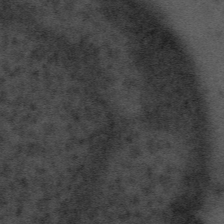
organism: Tuwongella immobilis